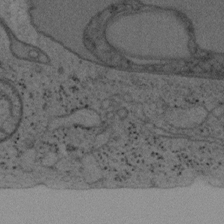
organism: Human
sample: HeLa cells